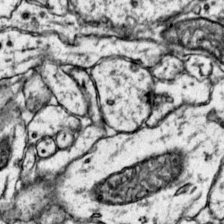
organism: Mouse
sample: Primary visual cortex